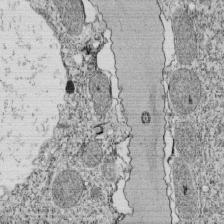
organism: Tetrahymena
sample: Cilia in tetrahymena